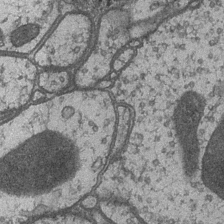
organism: Drosophila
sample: Optic medulla